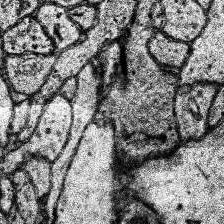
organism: Human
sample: Temporal Lobe